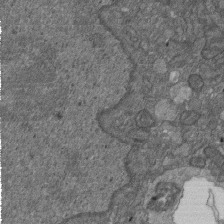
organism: Drosophila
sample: Nephrocyte